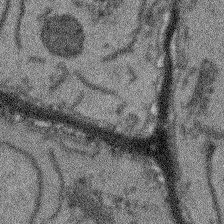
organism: Arabidopsis thaliana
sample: Root tip